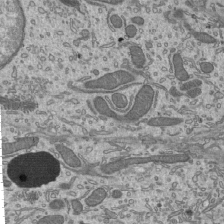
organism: Mouse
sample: Mouse epididymis efferent ductule cilia